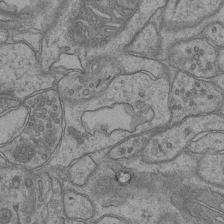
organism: Mouse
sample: CA1 Hippocampus